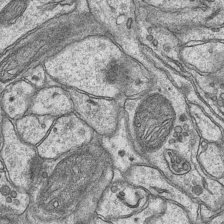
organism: Mouse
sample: CA1 Hippocampus